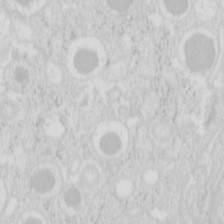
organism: Mouse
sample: Pancreas